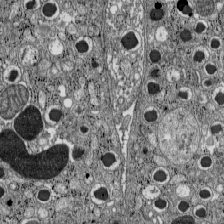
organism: C57BL Mouse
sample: Pancreatic islet